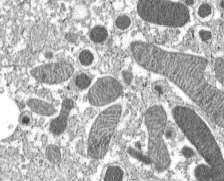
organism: C57BL Mouse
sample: Pancreatic islet